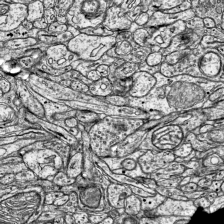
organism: Mouse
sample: Visual Cortex